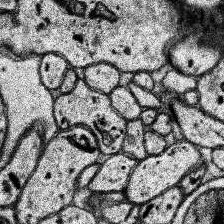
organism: Human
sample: Temporal Lobe